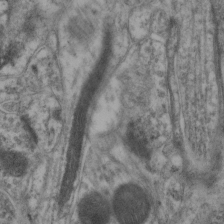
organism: Mouse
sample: Neocortex